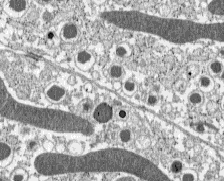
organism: C57BL Mouse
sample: Pancreatic islet